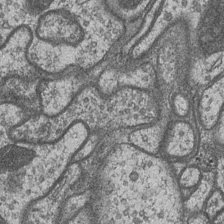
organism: Drosophila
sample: Optic medulla